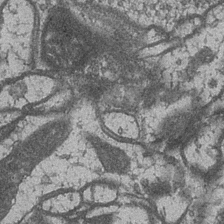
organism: Drosophila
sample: Optic medulla